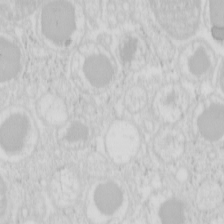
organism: Mouse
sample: Pancreas